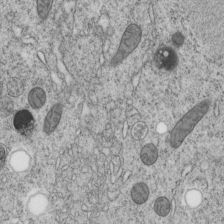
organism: C. elegans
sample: C. elegans embryo early stage